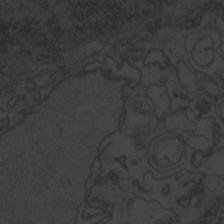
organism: Zebrafish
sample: Macrophage infected with Toxoplasma gondii